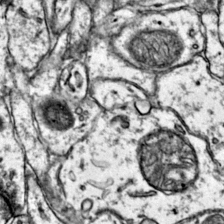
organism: Mouse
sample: Primary visual cortex